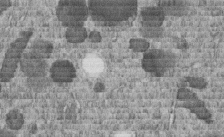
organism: C. elegans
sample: C. elegans embryo early stage